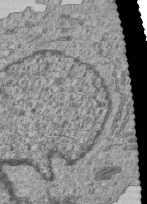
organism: Human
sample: MDA-MB-231 cells